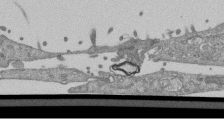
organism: Mouse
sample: ED-1 cell nuclei; centrioles